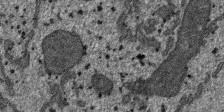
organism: Human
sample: Lung epithelial cells infected with SARS-CoV-2